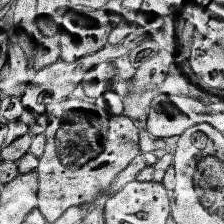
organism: Human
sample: Temporal Lobe